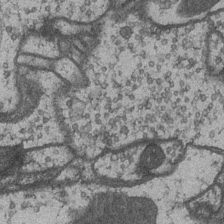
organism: Drosophila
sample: Optic medulla